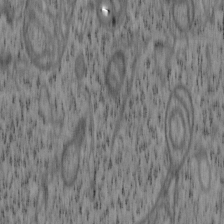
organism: Human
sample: HeLa cells